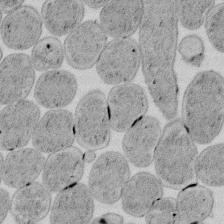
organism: E. coli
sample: Bacterial nucleoid